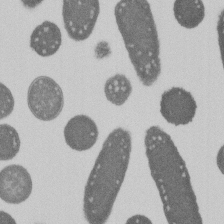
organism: E. coli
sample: Bacterial nucleoid